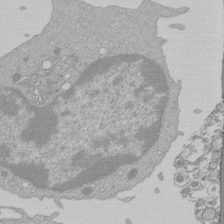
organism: Mouse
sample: Activated Pmel transgenic CD8+ T Cells